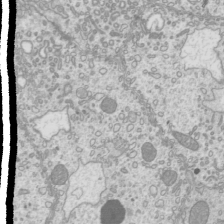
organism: Mouse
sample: Cilia; mouse epididymis